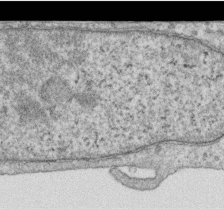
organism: Human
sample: Centriole in RPE cells